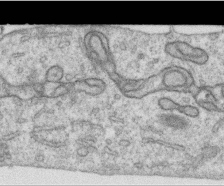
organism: Human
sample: Centriole in RPE cells